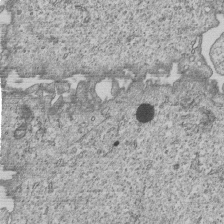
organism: Human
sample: MDA-MB-231 cells